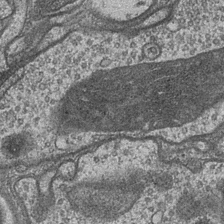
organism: Drosophila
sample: Optic medulla